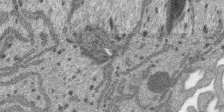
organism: Human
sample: Lung epithelial cells infected with SARS-CoV-2